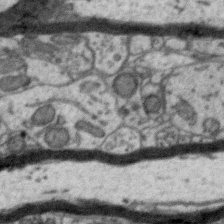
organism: Zebra finch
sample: Brain